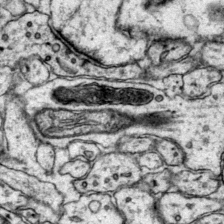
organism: Mouse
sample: Primary visual cortex